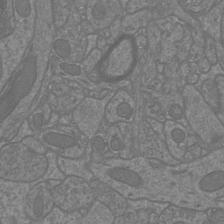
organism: Mouse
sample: Cortical neurons